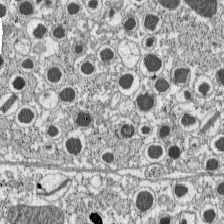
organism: C57BL Mouse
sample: Pancreatic islet